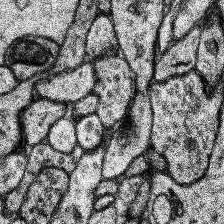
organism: Human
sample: Temporal Lobe